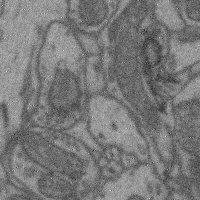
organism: Mouse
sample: Cerebral cortex